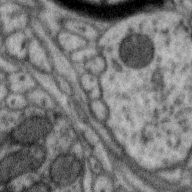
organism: Zebra finch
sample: Brain